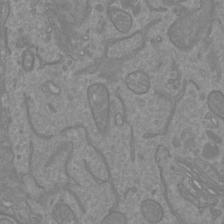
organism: Mouse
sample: Cortical neurons